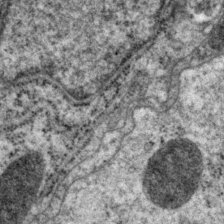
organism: P. pacificus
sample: Pharynx